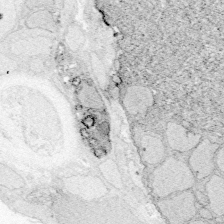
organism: Zebrafish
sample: Whole-Brain